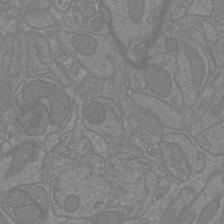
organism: Mouse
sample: Cortical neurons